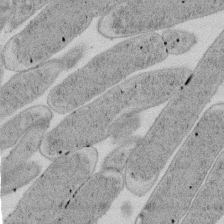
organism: E. coli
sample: Bacterial nucleoid